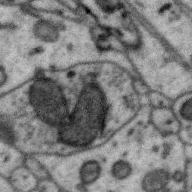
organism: Zebra finch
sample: Brain